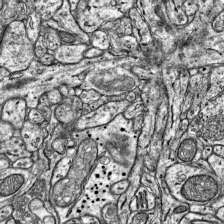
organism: Mouse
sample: Visual Cortex